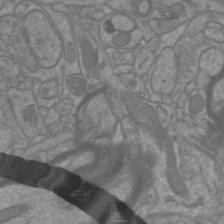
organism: Mouse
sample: Cortical neurons